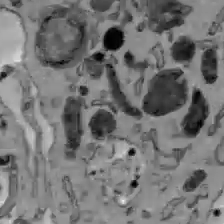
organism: C57BL Mouse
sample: Liver